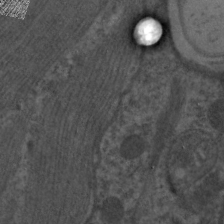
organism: C. elegans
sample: Pharynx